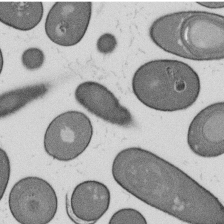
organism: B. subtilis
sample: Bacterial spore